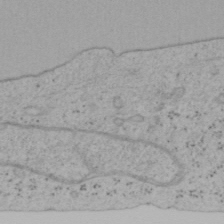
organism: Human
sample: HeLa cells